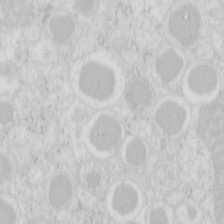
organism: Mouse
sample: Pancreas